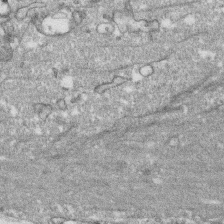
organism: Human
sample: CRL-1474